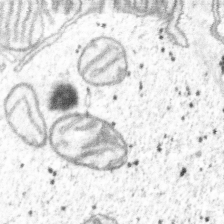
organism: Human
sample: HeLa cells